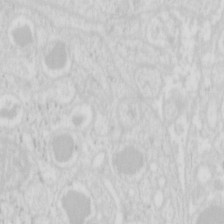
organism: Mouse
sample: Pancreas